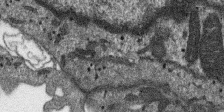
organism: Human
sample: Lung epithelial cells infected with SARS-CoV-2